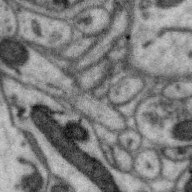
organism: Zebra finch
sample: Brain